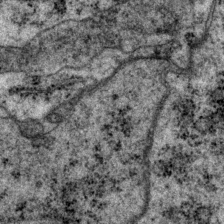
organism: P. pacificus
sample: Pharynx